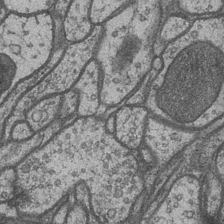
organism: Drosophila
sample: Optic medulla